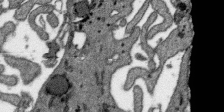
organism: Human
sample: Lung epithelial cells, uninfected (mock) control